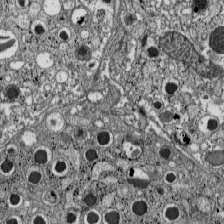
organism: C57BL Mouse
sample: Pancreatic islet